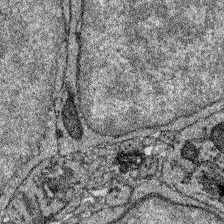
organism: Zebrafish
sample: Larval olfactory bulb